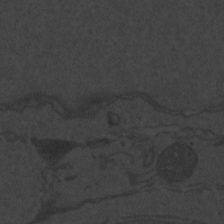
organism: Zebrafish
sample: Macrophage infected with Toxoplasma gondii